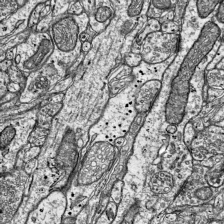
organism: Mouse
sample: Visual Cortex